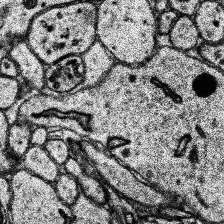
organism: Human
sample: Temporal Lobe